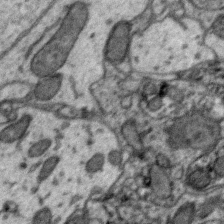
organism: Zebra finch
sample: Brain